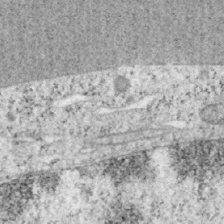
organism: Mouse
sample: OT-I killer T cells with ID8 ovarian cancer cells